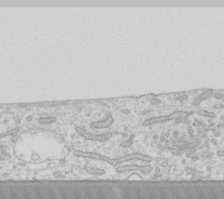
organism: Human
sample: Fibroblast cells